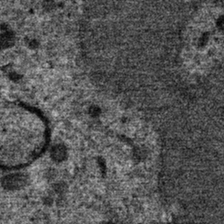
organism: Mouse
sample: Mouse hepatocytes